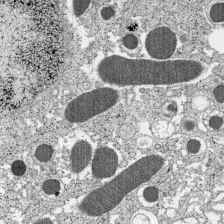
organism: C57BL Mouse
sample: Pancreatic islet